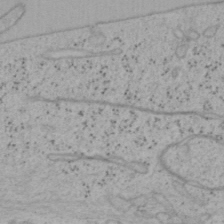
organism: Human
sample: HeLa cells